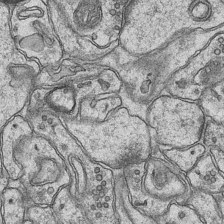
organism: Mouse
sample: CA1 Hippocampus